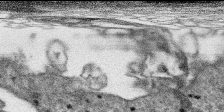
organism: Human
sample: Lung epithelial cells infected with SARS-CoV-2